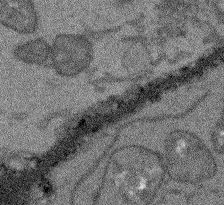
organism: Arabidopsis thaliana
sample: Root tip